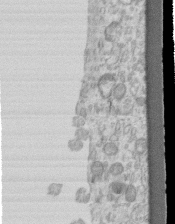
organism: Mouse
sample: Centriole in ependymal cells